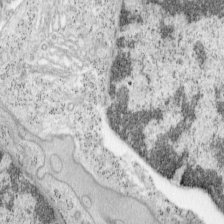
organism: Mouse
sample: OT-I killer T cells with ID8 ovarian cancer cells